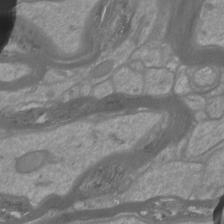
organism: Mouse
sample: Cortical neurons